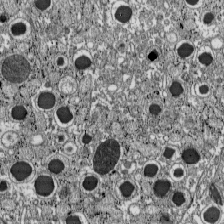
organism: C57BL Mouse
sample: Pancreatic islet